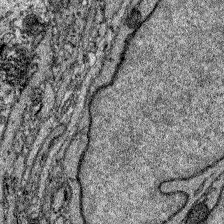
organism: Zebrafish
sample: Larval olfactory bulb